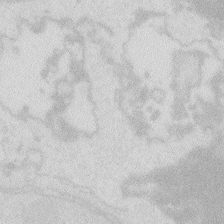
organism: Zebrafish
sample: Macrophage